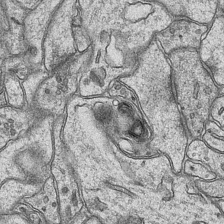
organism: Mouse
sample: CA1 Hippocampus